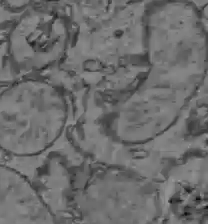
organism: C57BL Mouse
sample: Liver